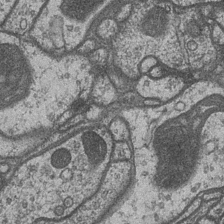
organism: Drosophila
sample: Optic medulla